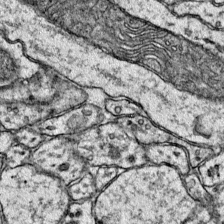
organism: Mouse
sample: Primary visual cortex